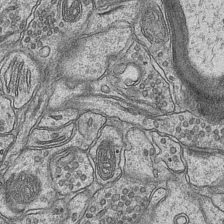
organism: Mouse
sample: CA1 Hippocampus